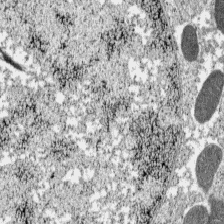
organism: C57BL Mouse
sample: Pancreatic islet